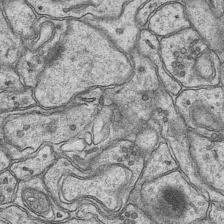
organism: Mouse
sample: CA1 Hippocampus